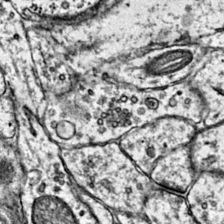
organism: Mouse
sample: Primary visual cortex